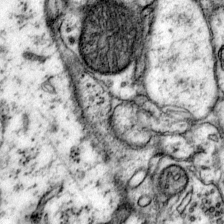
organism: Mouse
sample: Primary visual cortex